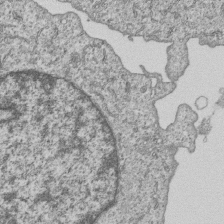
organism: Human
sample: MDA-MB-231 cells